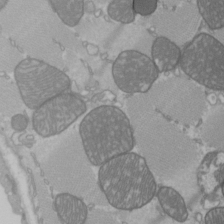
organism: C57BL Mouse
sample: Heart